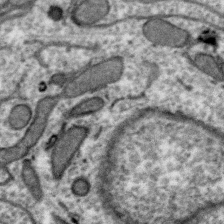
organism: Zebra finch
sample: Brain